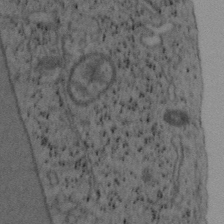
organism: Human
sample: HeLa cells